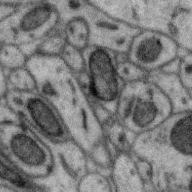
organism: Zebra finch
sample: Brain